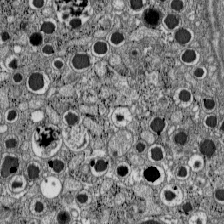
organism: C57BL Mouse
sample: Pancreatic islet